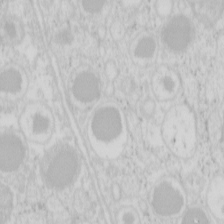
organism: Mouse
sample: Pancreas